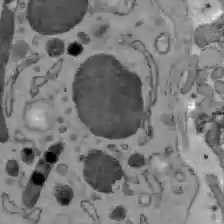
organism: C57BL Mouse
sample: Liver